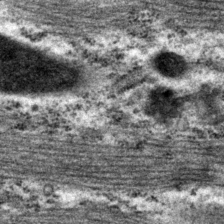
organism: P. pacificus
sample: Pharynx